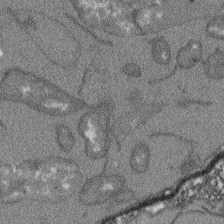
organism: Arabidopsis thaliana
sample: Root tip